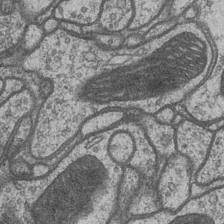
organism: Drosophila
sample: Optic medulla